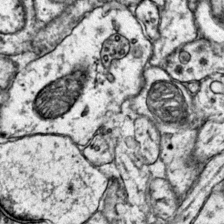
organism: Mouse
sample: Primary visual cortex